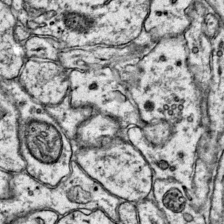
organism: Mouse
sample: Primary visual cortex